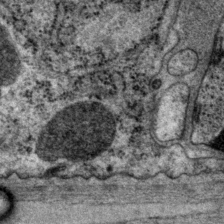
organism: P. pacificus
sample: Pharynx